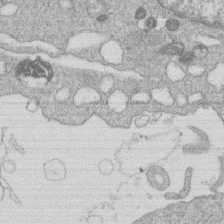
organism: Human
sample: Macrophage cells